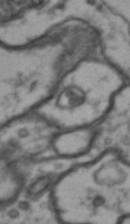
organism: Drosophila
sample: Brain